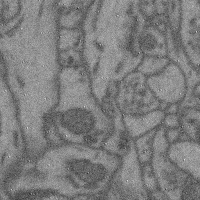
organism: Mouse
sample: Cerebral cortex